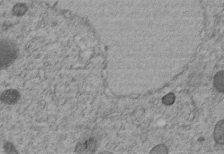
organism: C. elegans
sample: C. elegans embryo early stage